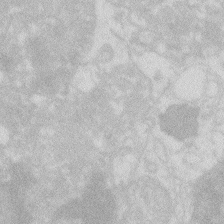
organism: Zebrafish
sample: Macrophage